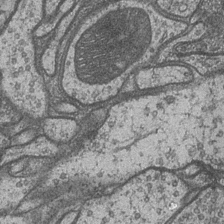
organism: Drosophila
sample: Optic medulla